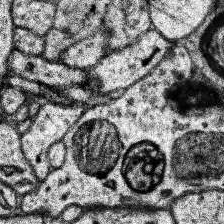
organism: Human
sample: Temporal Lobe